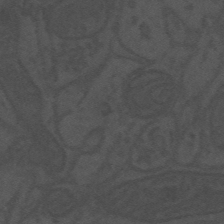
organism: Mouse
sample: Suprachiasmatic nucleus